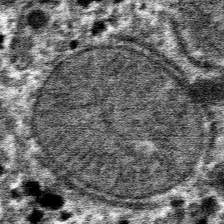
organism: Mouse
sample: Mouse hepatocytes